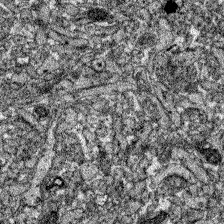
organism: Zebrafish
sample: Larval olfactory bulb